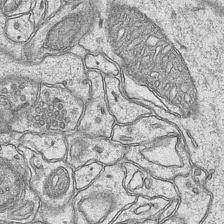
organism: Mouse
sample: CA1 Hippocampus